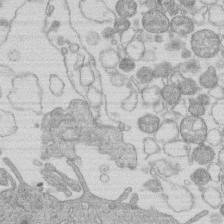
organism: Human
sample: Macrophage cells